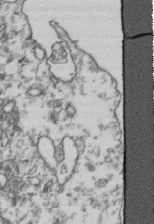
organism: Human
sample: Activated Jurkat CD4+ T cells